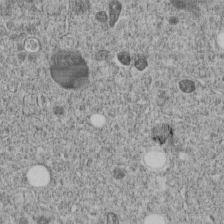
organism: C. elegans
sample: C. elegans embryo early stage